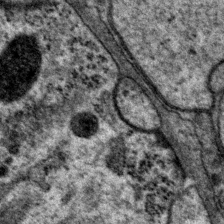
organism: P. pacificus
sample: Pharynx